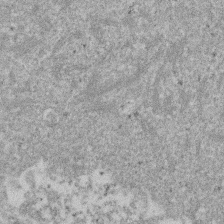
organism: Mouse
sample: Dividing mouse embryo 1 cell stage